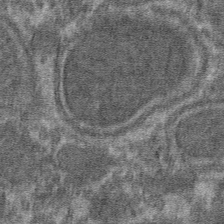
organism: Mouse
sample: Mouse hepatocytes